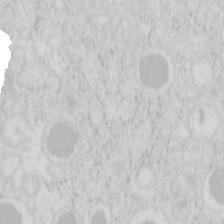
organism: Mouse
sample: Pancreas